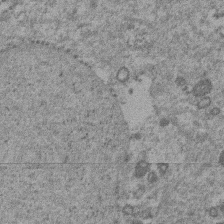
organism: Mouse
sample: Dividing mouse embryo 1 cell stage